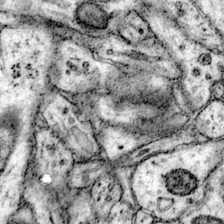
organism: Mouse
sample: Primary visual cortex